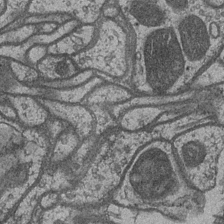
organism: Drosophila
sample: Optic medulla